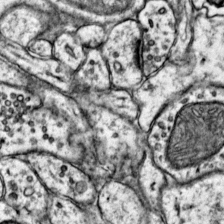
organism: Mouse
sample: Primary visual cortex